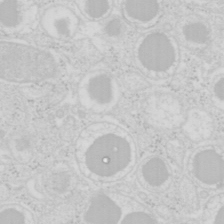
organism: Mouse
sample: Pancreas